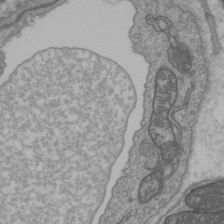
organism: C57BL Mouse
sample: Heart